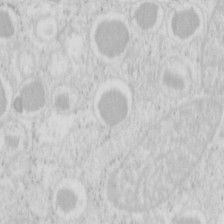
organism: Mouse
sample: Pancreas